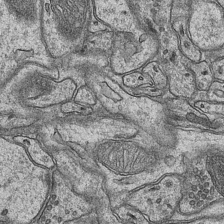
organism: Mouse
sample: CA1 Hippocampus